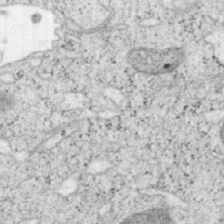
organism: Mouse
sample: OT-I killer T cells with ID8 ovarian cancer cells